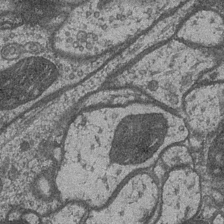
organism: Drosophila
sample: Optic medulla